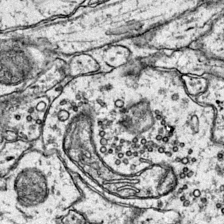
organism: Mouse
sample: Primary visual cortex